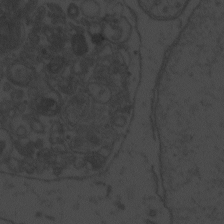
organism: Zebrafish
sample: Macrophage infected with Toxoplasma gondii